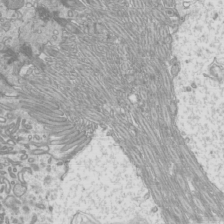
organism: Mouse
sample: Cilia; mouse epididymis